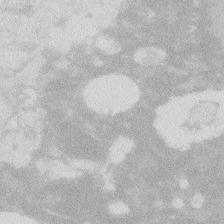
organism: Zebrafish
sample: Macrophage